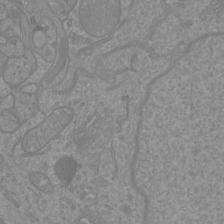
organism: Mouse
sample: Cortical neurons